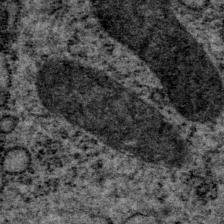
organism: P. pacificus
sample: Pharynx